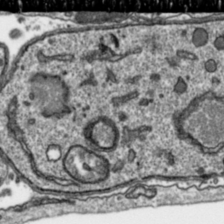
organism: Toxoplasma gondii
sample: Parasites in a vacuole inside a host cell